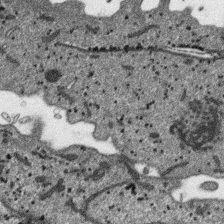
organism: Human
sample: Lung epithelial cells infected with SARS-CoV-2